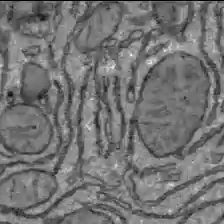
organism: C57BL Mouse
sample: Liver